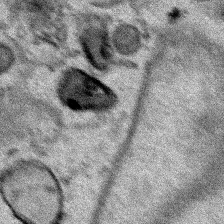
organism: Human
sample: Mitochondria in HCT116 cells